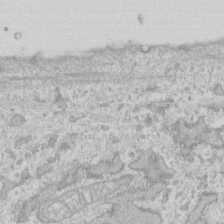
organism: Human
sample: Fibroblast cells